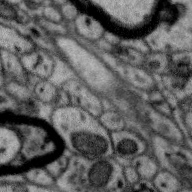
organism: Zebra finch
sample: Brain